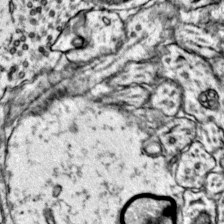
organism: Mouse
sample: Primary visual cortex